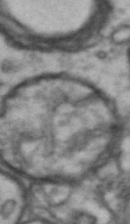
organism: Drosophila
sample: Brain